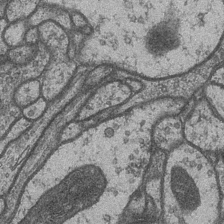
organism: Drosophila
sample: Optic medulla